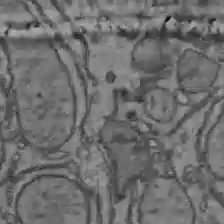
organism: C57BL Mouse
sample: Liver